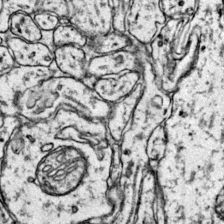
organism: Mouse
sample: Primary visual cortex